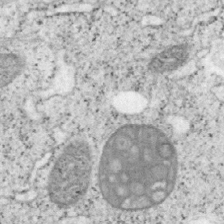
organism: Mouse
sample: OT-I killer T cells with ID8 ovarian cancer cells